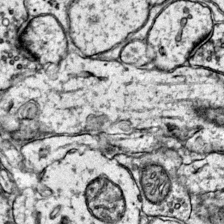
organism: Mouse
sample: Primary visual cortex